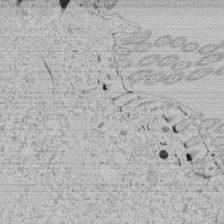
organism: Tetrahymena